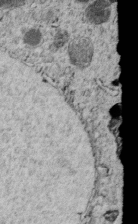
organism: C. elegans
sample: C. elegans embryo early stage